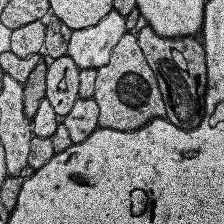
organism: Human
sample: Temporal Lobe